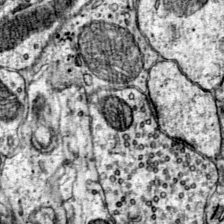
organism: Mouse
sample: Primary visual cortex